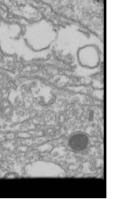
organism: Drosophila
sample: Cell division; meiosis; drosophila spermatocytes